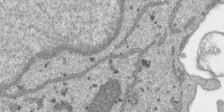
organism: Human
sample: Lung epithelial cells infected with SARS-CoV-2